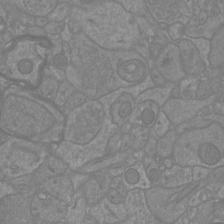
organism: Mouse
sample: Cortical neurons